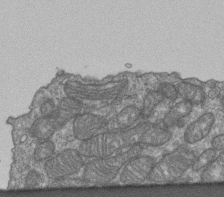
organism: Human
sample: Retinal organoid Rod and Cone cells